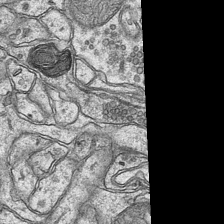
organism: Mouse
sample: CA1 Hippocampus